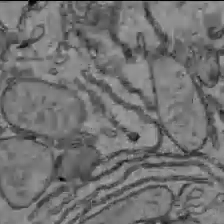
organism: C57BL Mouse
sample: Liver